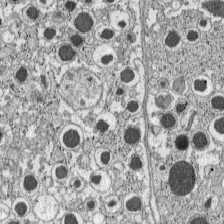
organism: C57BL Mouse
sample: Pancreatic islet